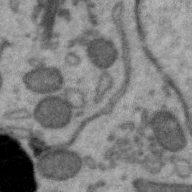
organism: Zebra finch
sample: Brain